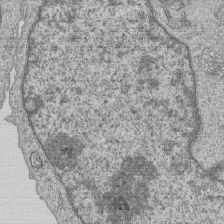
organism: Human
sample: MDA-MB-231 cells